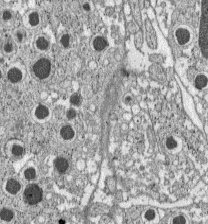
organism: C57BL Mouse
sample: Pancreatic islet